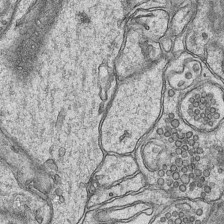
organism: Mouse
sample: CA1 Hippocampus